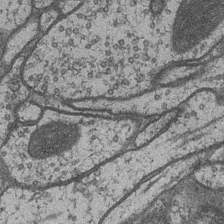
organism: Drosophila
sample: Optic medulla